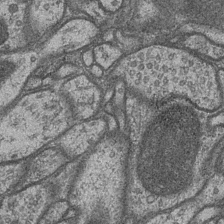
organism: Drosophila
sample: Optic medulla